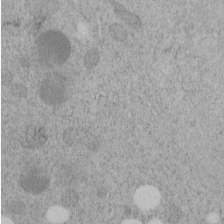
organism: C. elegans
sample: C. elegans embryo early stage